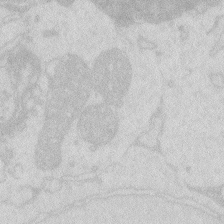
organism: Zebrafish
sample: Macrophage